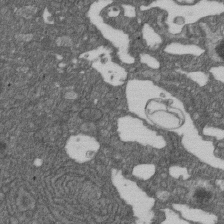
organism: Drosophila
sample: Nephrocyte